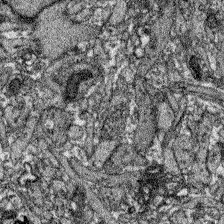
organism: Zebrafish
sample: Larval olfactory bulb